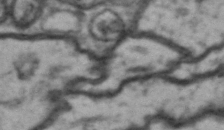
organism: Drosophila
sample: Brain